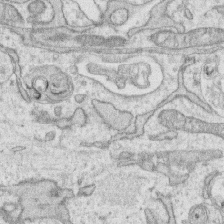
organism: Human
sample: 1205lu cells